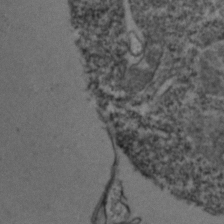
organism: Zebrafish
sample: Zebrafish embryo